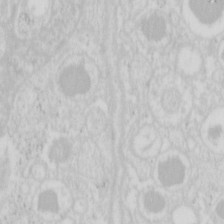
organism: Mouse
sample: Pancreas